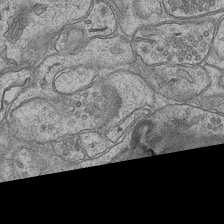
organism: Mouse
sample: CA1 Hippocampus